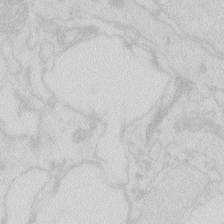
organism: Zebrafish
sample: Macrophage